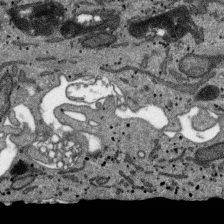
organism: Human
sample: Lung epithelial cells, uninfected (mock) control